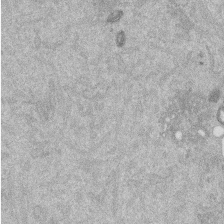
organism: Mouse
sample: Dividing mouse embryo 1 cell stage